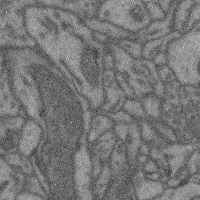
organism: Mouse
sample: Cerebral cortex